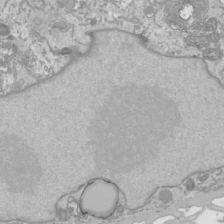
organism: Human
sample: Mitochondria in HCT116 cells